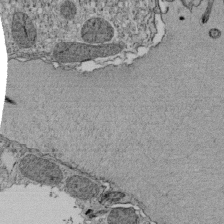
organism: Tetrahymena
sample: Cilia in tetrahymena